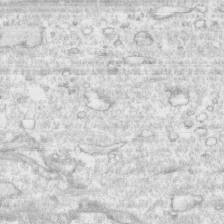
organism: Human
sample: CRL-1474